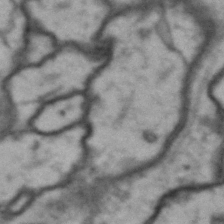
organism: Drosophila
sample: Brain